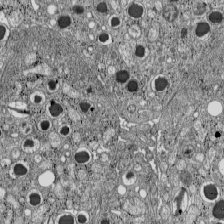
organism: C57BL Mouse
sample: Pancreatic islet